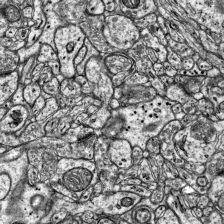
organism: Mouse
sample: Visual Cortex